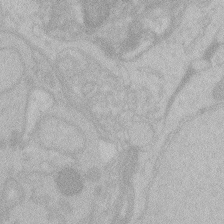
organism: Zebrafish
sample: Macrophage infected with Toxoplasma gondii